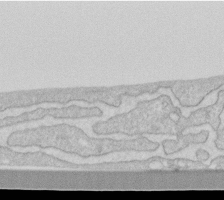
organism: Human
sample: Fibroblast cells